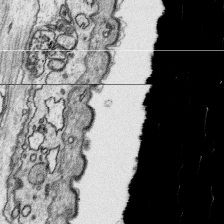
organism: Platynereis dumerilii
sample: Parapodia